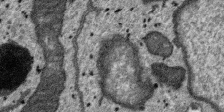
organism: Human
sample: Lung epithelial cells, uninfected (mock) control